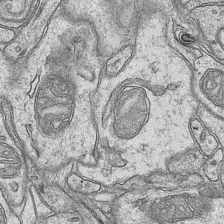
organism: Mouse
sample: CA1 Hippocampus